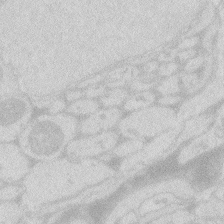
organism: Zebrafish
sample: Macrophage